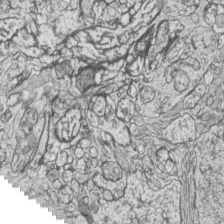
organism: Zebrafish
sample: synaptic ribbons in rod cells and cone cells